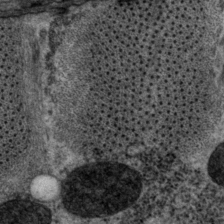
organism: P. pacificus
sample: Pharynx